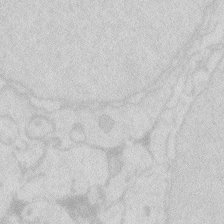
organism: Zebrafish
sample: Macrophage